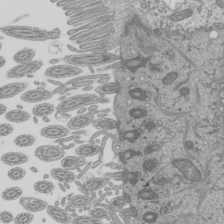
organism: Mouse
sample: Cilia; mouse epididymis